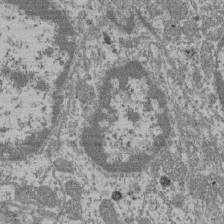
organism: Mouse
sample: Glomerulus